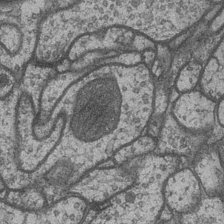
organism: Drosophila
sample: Optic medulla